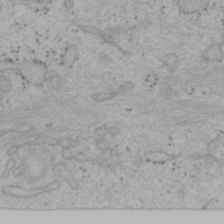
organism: Human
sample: HeLa cells